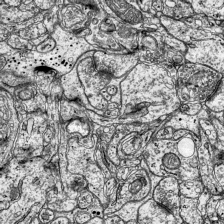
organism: Mouse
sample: Visual Cortex